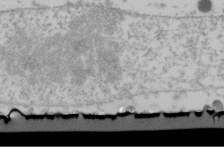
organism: Human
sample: U2-OS cells